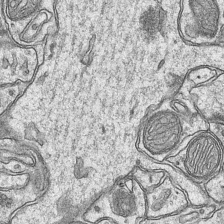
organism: Mouse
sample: CA1 Hippocampus